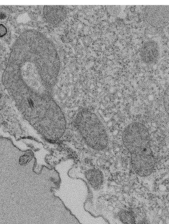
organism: Tetrahymena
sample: Cilia in tetrahymena